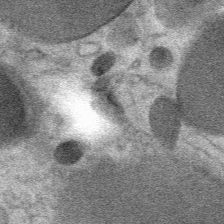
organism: Mouse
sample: Mouse Salivary gland